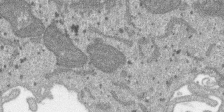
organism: Human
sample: Lung epithelial cells infected with SARS-CoV-2